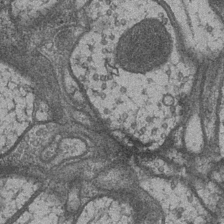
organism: Drosophila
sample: Optic medulla